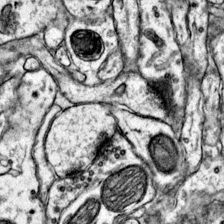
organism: Mouse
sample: Primary visual cortex